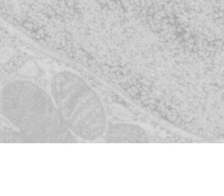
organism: Mouse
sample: Pancreas